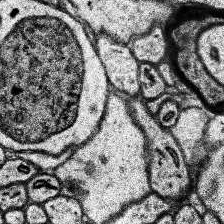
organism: Human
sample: Temporal Lobe